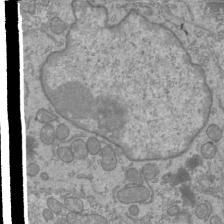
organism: Mouse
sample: Cilia; mouse epididymis